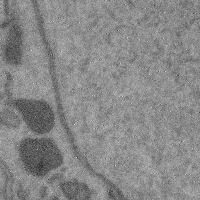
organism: Mouse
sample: Cerebral cortex